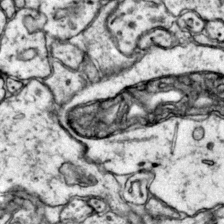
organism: Mouse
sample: Primary visual cortex